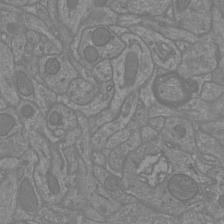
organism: Mouse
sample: Cortical neurons